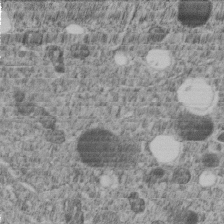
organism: C. elegans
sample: C. elegans embryo early stage